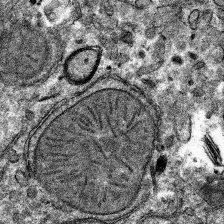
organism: Mouse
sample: Mouse hepatocytes